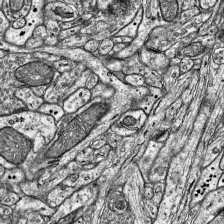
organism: Mouse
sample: Visual Cortex